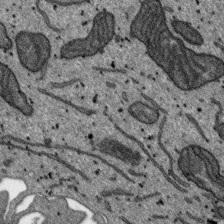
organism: Human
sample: Lung epithelial cells, uninfected (mock) control